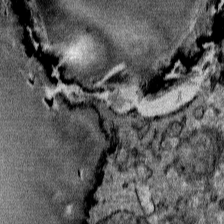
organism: Mouse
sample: Mouse Salivary gland